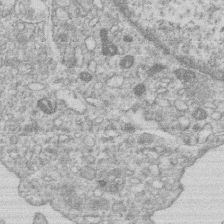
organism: Human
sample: Macrophage cells